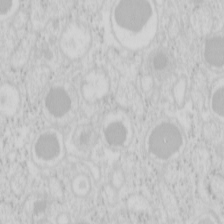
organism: Mouse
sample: Pancreas